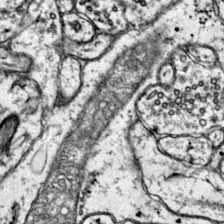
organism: Mouse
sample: Primary visual cortex